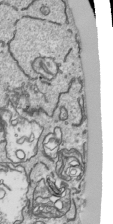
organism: Human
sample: Mitochondria in HCT116 cells